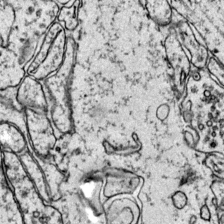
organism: Mouse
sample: Primary visual cortex